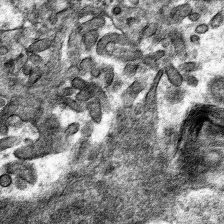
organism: Mouse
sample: Mouse hepatocytes